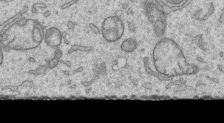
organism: Human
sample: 1205lu cells